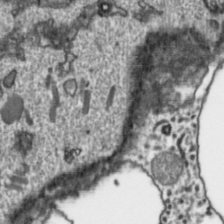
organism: Toxoplasma gondii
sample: Parasites in a vacuole inside a host cell